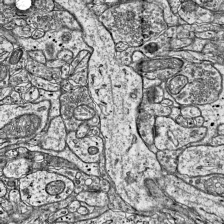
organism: Mouse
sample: Visual Cortex